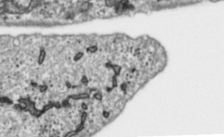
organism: Toxoplasma gondii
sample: Parasites in a vacuole inside a host cell